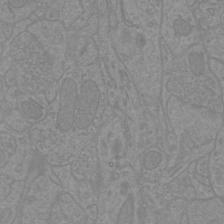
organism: Mouse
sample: Cortical neurons